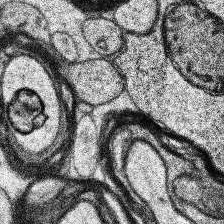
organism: Human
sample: Temporal Lobe